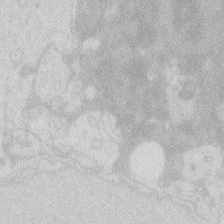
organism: Zebrafish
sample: Macrophage